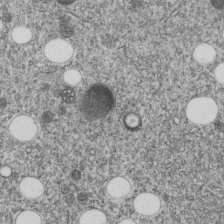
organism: C. elegans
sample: C. elegans embryo early stage